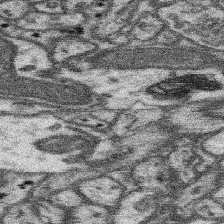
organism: Mouse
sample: Somatosensory cortex neuropil